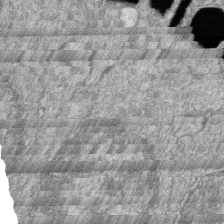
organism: Zebrafish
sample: Cilia; retinal pigment epithelium